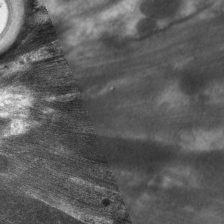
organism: C. elegans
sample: Pharynx